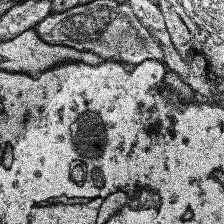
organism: Human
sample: Temporal Lobe